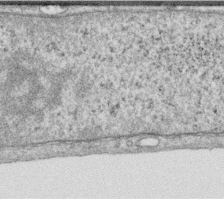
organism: Human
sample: Centriole in RPE cells